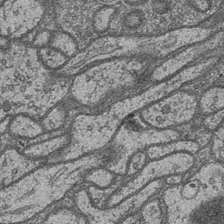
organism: Drosophila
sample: Optic medulla